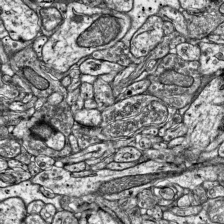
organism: Mouse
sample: Visual Cortex